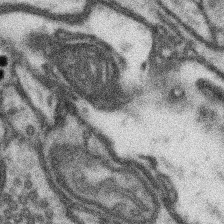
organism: Mouse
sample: Somatosensory cortex neuropil